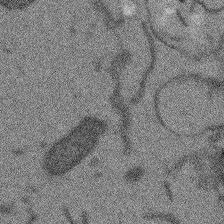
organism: Arabidopsis thaliana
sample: Root tip